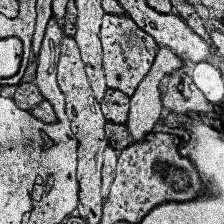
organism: Human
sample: Temporal Lobe